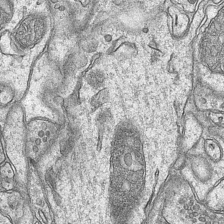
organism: Mouse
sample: CA1 Hippocampus